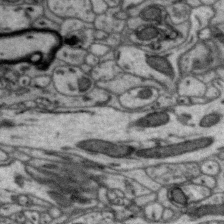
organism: Zebra finch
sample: Brain